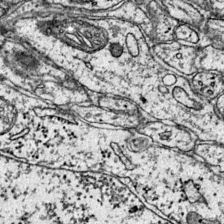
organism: Mouse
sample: Primary visual cortex